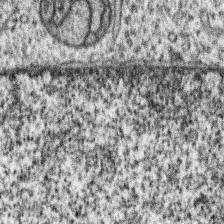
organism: Human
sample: HeLa cells